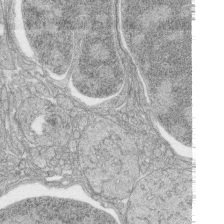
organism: Zebrafish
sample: synaptic ribbons in rod cells and cone cells